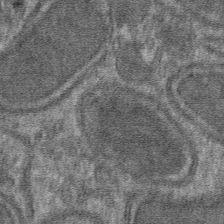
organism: Mouse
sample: Mouse hepatocytes